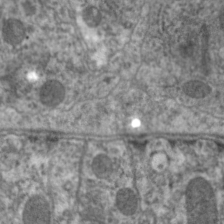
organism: C. elegans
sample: Pharynx